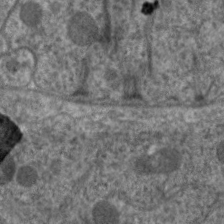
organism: C. elegans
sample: Pharynx